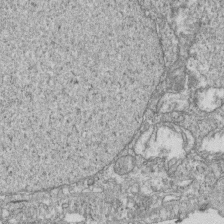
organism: Human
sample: HeLa cell HIV synapse